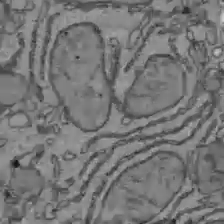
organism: C57BL Mouse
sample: Liver